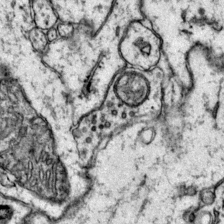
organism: Mouse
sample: Primary visual cortex